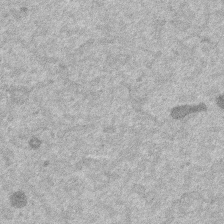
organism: Mouse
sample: Dividing mouse embryo 1 cell stage